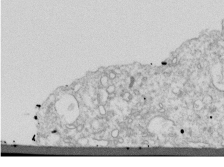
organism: Dictyostelium discoideum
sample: Dictyostelium multivesicular bodies